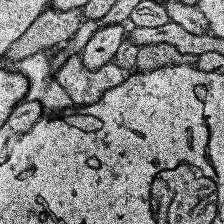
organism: Human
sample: Temporal Lobe